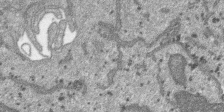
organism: Human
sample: Lung epithelial cells infected with SARS-CoV-2